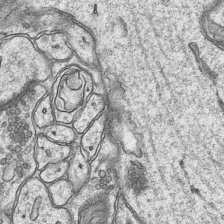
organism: Mouse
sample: CA1 Hippocampus